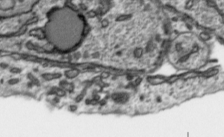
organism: Toxoplasma gondii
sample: Parasites in a vacuole inside a host cell